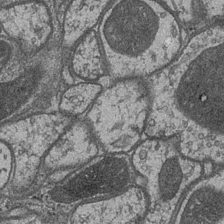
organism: Drosophila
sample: Optic medulla